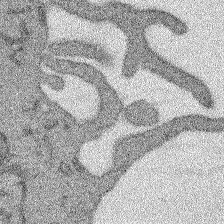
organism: Human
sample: HeLa cells